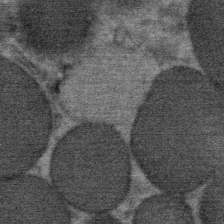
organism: Mouse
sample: Mouse Salivary gland